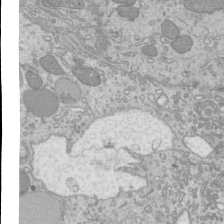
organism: Mouse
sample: Cilia; mouse epididymis